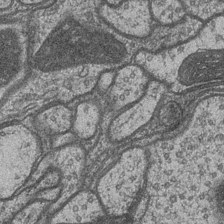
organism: Drosophila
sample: Optic medulla